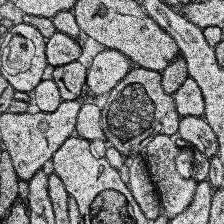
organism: Human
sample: Temporal Lobe